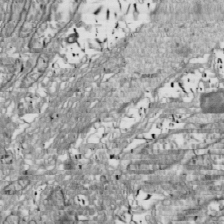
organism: Drosophila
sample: Cell division; meiosis; drosophila spermatocytes